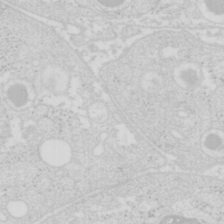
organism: Mouse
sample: Pancreas